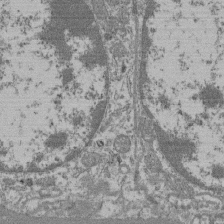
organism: Mouse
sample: Glomerulus